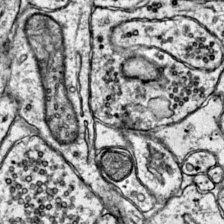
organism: Mouse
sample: Primary visual cortex